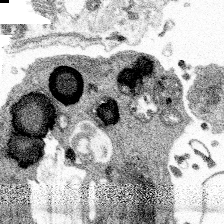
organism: Spongilla lacustris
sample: Multiple